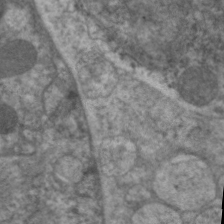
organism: C. elegans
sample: Pharynx